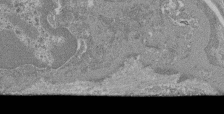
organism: Mouse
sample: Glomerulus